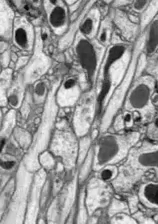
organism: Drosophila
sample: Optic lobe